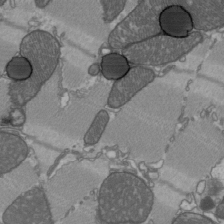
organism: C57BL Mouse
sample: Heart